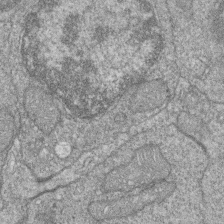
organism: Zebrafish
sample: Cilia; retinal pigment epithelium